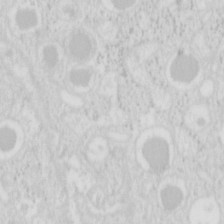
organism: Mouse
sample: Pancreas